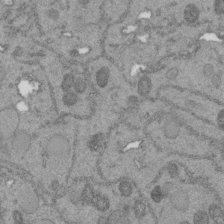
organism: C. elegans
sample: C. elegans embryo early stage